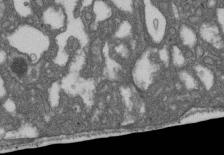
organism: Drosophila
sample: Nephrocyte